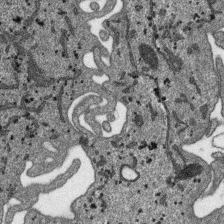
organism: Human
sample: Lung epithelial cells infected with SARS-CoV-2